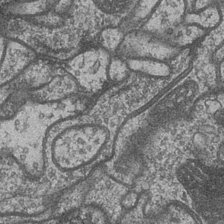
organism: Drosophila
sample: Optic medulla